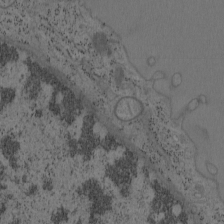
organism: Mouse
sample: OT-I killer T cells with ID8 ovarian cancer cells